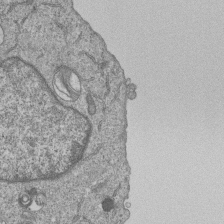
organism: Human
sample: MDA-MB-231 cells